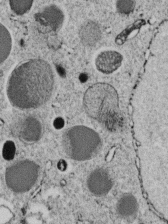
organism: C. elegans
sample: C. elegans embryo early stage